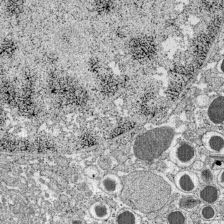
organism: C57BL Mouse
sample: Pancreatic islet